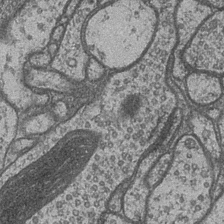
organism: Drosophila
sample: Optic medulla